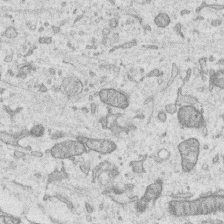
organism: Human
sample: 1205lu cells